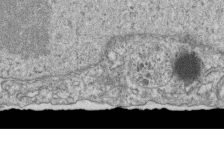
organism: Human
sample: HeLa cell HIV synapse